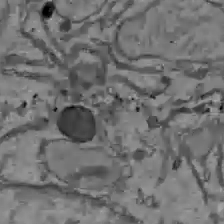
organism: C57BL Mouse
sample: Liver